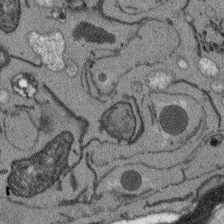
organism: Arabidopsis thaliana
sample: Root tip